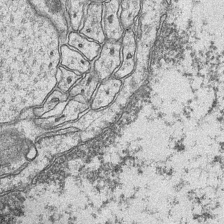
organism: Mouse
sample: CA1 Hippocampus